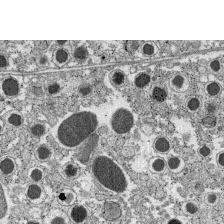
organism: C57BL Mouse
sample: Pancreatic islet